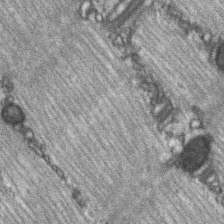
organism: C57BL Mouse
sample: Soleus